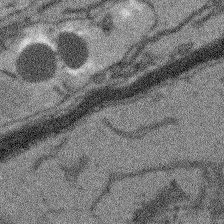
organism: Arabidopsis thaliana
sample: Root tip